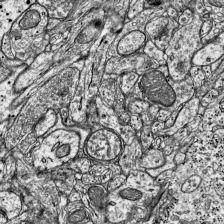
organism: Mouse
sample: Visual Cortex